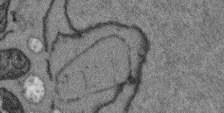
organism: Arabidopsis thaliana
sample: Root tip